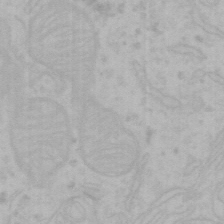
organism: Mouse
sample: Choroid plexus